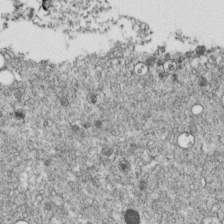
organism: C. elegans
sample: C. elegans embryo early stage